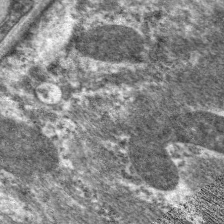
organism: C. elegans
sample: Pharynx